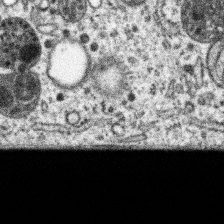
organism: Human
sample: HeLa cells